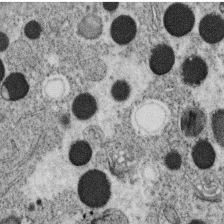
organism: C. elegans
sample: C. elegans oocyte; sperm cells